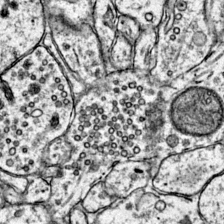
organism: Mouse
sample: Primary visual cortex